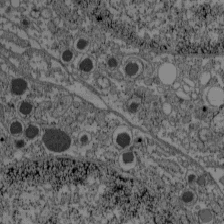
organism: C57BL Mouse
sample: Pancreatic islet